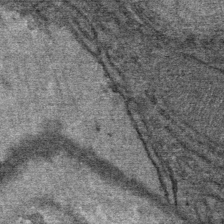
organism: Mouse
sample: Mouse Salivary gland